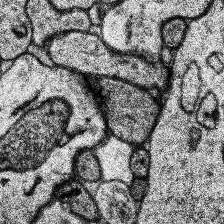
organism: Human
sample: Temporal Lobe